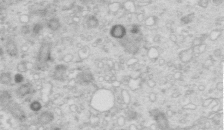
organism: Mouse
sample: Multiciliated cells